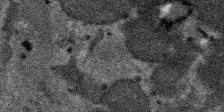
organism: Human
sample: Lung epithelial cells infected with SARS-CoV-2